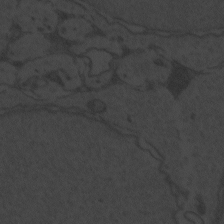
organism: Zebrafish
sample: Macrophage infected with Toxoplasma gondii